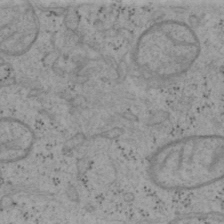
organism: Human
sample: HeLa cells